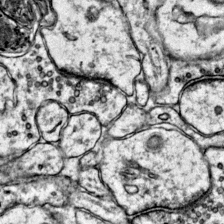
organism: Mouse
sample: Primary visual cortex